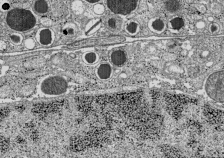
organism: C57BL Mouse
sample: Pancreatic islet